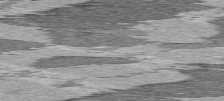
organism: C57BL Mouse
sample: Heart